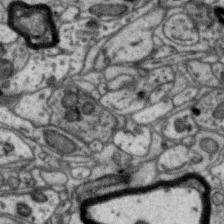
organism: Zebra finch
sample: Brain